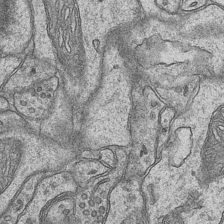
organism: Mouse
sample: CA1 Hippocampus